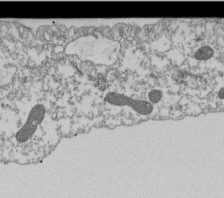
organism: Dictyostelium discoideum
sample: Dictyostelium multivesicular bodies